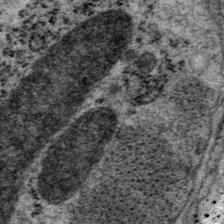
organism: P. pacificus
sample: Pharynx